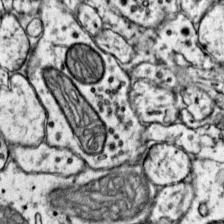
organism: Mouse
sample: Primary visual cortex